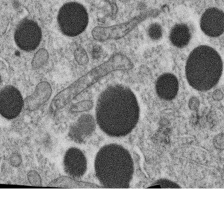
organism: C. elegans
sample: C. elegans oocyte; sperm cells